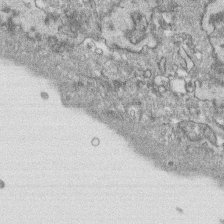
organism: Human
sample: CRL-1474